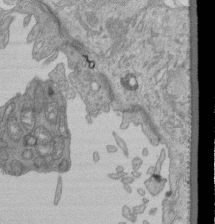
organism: Human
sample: Retinal organoid Rod and Cone cells